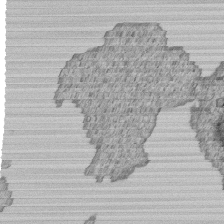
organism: Human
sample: MDA-MB-231 cells